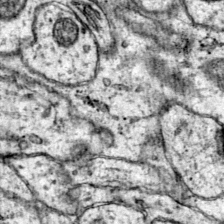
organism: Mouse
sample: Primary visual cortex